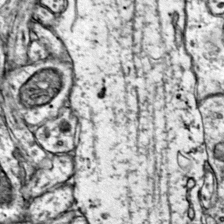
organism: Mouse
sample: Primary visual cortex